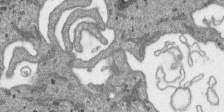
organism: Human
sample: Lung epithelial cells infected with SARS-CoV-2